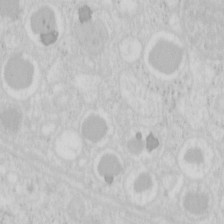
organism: Mouse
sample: Pancreas